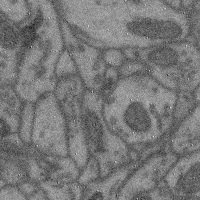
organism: Mouse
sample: Cerebral cortex